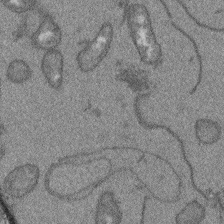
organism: Arabidopsis thaliana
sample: Root tip